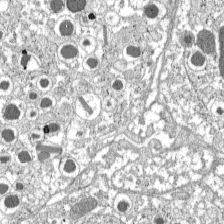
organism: C57BL Mouse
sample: Pancreatic islet